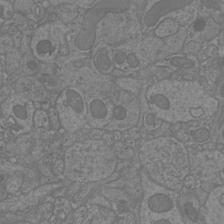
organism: Mouse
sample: Cortical neurons